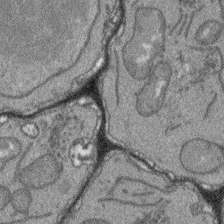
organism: Arabidopsis thaliana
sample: Root tip